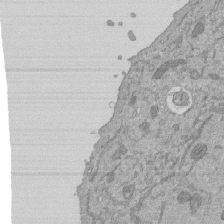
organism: Mouse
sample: ED-1 cell nuclei; centrioles